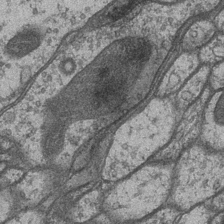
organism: Drosophila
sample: Optic medulla